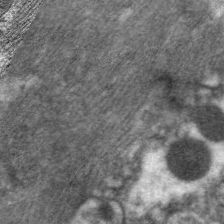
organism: C. elegans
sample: Pharynx